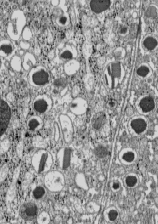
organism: C57BL Mouse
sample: Pancreatic islet